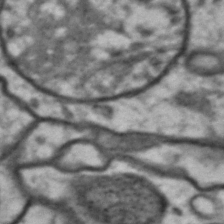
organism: Drosophila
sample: Brain